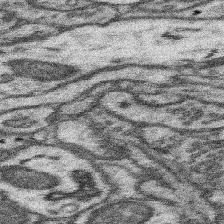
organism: Mouse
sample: Somatosensory cortex neuropil